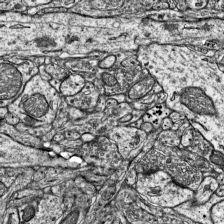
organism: Mouse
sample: Visual Cortex